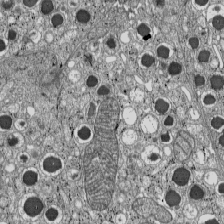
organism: C57BL Mouse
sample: Pancreatic islet